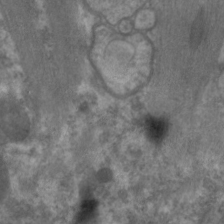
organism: C. elegans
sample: Pharynx